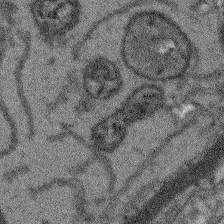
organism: Arabidopsis thaliana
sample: Root tip